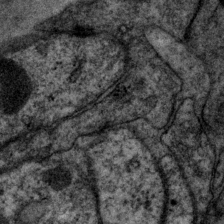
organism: P. pacificus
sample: Pharynx